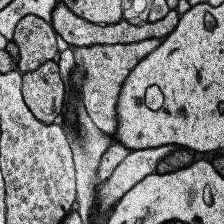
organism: Human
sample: Temporal Lobe